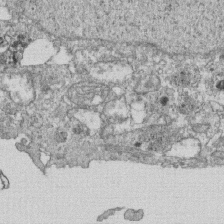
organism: Human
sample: HeLa cell HIV synapse